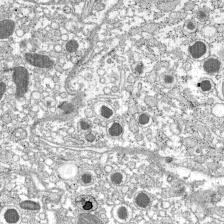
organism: C57BL Mouse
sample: Pancreatic islet